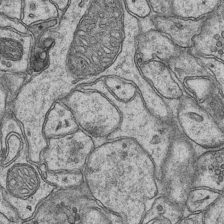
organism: Mouse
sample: CA1 Hippocampus